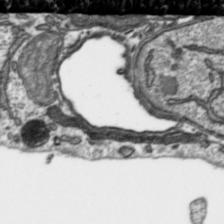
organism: Toxoplasma gondii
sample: Parasites in a vacuole inside a host cell